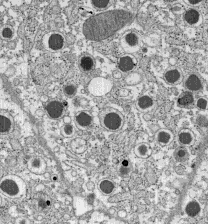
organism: C57BL Mouse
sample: Pancreatic islet